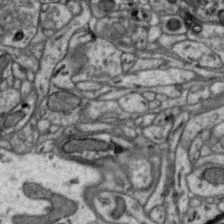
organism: Zebra finch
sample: Brain